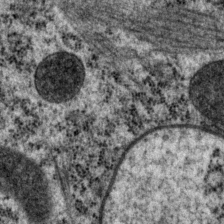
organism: P. pacificus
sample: Pharynx